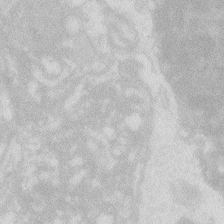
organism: Zebrafish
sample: Macrophage